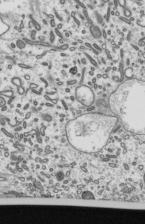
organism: Mouse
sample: Mouse epididymis efferent ductule cilia